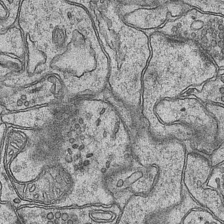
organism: Mouse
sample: CA1 Hippocampus